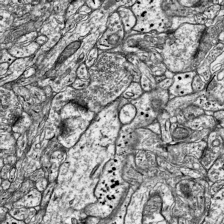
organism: Mouse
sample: Visual Cortex